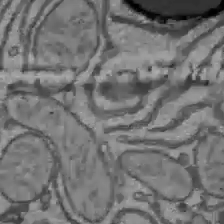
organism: C57BL Mouse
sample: Liver